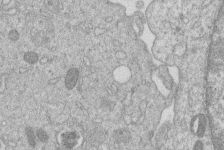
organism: Human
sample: Macrophage cells